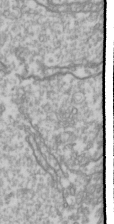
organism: Drosophila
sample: Cell division; meiosis; drosophila spermatocytes